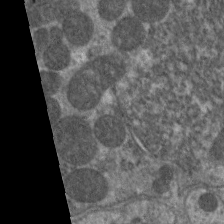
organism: C. elegans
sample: Pharynx